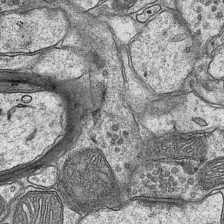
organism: Mouse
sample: CA1 Hippocampus